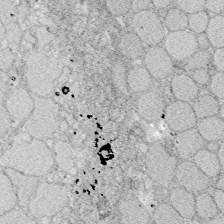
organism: Zebrafish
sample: Whole-Brain